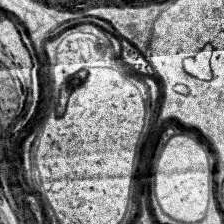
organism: Human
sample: Temporal Lobe